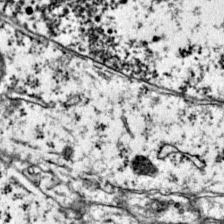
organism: Mouse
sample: Primary visual cortex